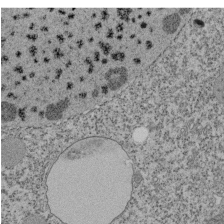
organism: Tetrahymena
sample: Cilia in tetrahymena